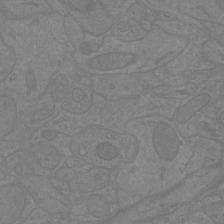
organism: Mouse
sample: Cortical neurons